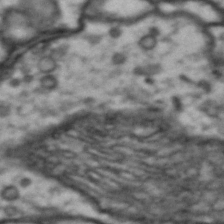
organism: Drosophila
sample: Brain